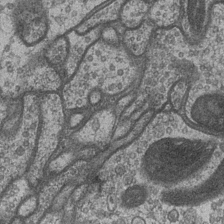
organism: Drosophila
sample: Optic medulla